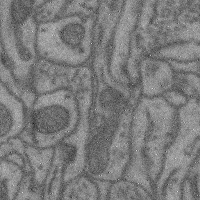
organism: Mouse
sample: Cerebral cortex